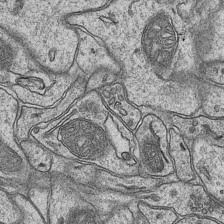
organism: Mouse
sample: CA1 Hippocampus